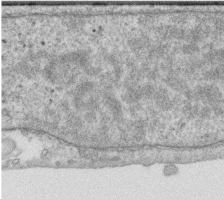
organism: Human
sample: Centriole in RPE cells